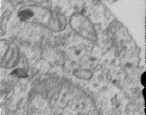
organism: Human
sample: Centriole in RPE cells